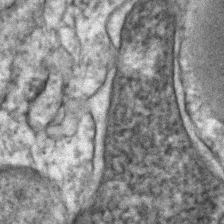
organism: Human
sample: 1205lu cells